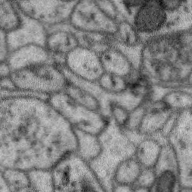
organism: Zebra finch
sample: Brain